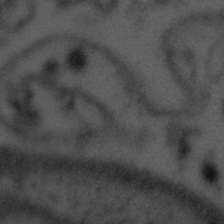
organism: Tuwongella immobilis